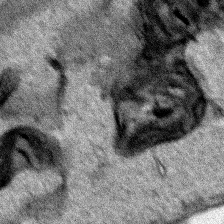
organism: Human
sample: Mitochondria in HCT116 cells